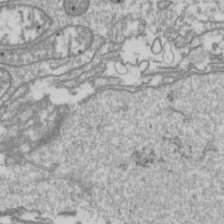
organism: Drosophila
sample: Cell division; meiosis; drosophila spermatocytes